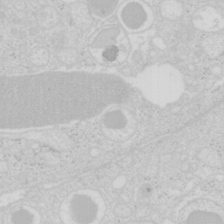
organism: Mouse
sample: Pancreas